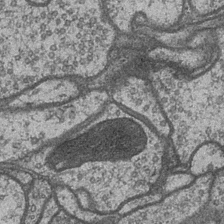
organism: Drosophila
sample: Optic medulla